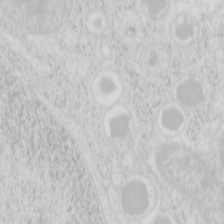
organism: Mouse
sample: Pancreas